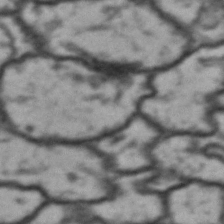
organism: Drosophila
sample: Brain